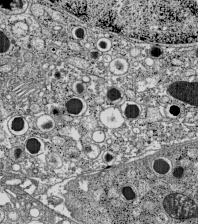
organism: C57BL Mouse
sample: Pancreatic islet